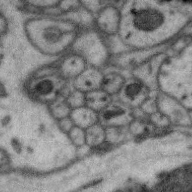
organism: Zebra finch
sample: Brain